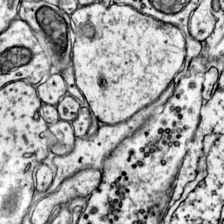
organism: Mouse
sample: Primary visual cortex